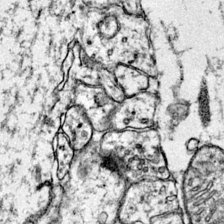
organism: Mouse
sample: Primary visual cortex